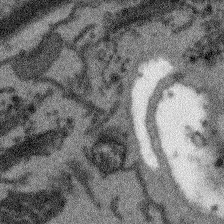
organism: Arabidopsis thaliana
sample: Root tip